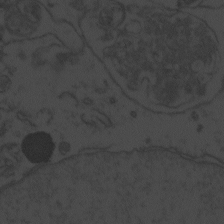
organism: Zebrafish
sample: Macrophage infected with Toxoplasma gondii